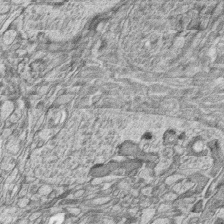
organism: Zebrafish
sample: synaptic ribbons in rod cells and cone cells